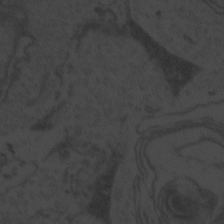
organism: Zebrafish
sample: Macrophage infected with Toxoplasma gondii